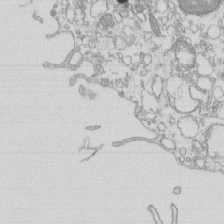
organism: Mouse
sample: Macrophages